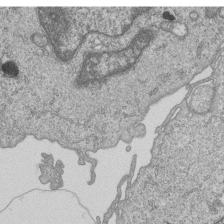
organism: Human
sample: MDA-MB-231 cells